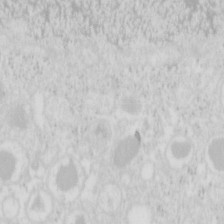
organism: Mouse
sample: Pancreas